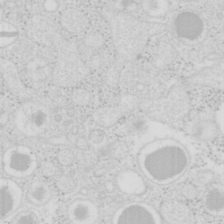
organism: Mouse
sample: Pancreas